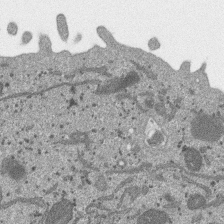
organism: Human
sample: Lung epithelial cells infected with SARS-CoV-2